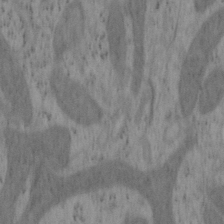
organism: Mouse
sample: OT-I killer T cells with ID8 ovarian cancer cells